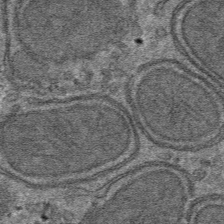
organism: Mouse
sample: Mouse hepatocytes